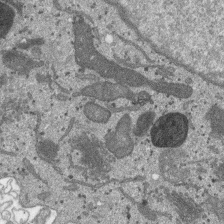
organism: Human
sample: Lung epithelial cells infected with SARS-CoV-2